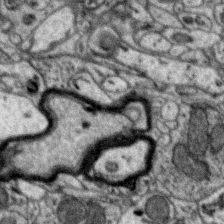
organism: Zebra finch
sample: Brain